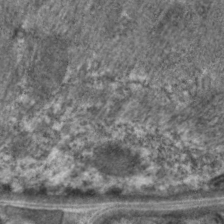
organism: C. elegans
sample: Pharynx